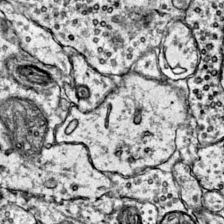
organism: Mouse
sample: Primary visual cortex